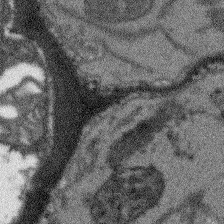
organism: Arabidopsis thaliana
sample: Root tip